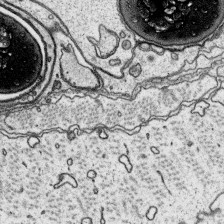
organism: Platynereis dumerilii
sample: Parapodia